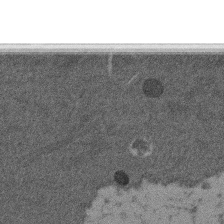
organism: Mouse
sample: Dividing mouse embryo 1 cell stage